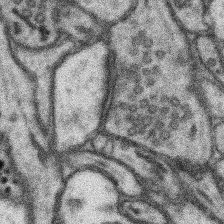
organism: Mouse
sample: Somatosensory cortex neuropil